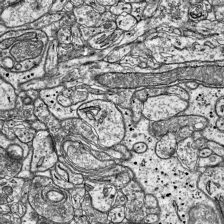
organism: Mouse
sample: Visual Cortex